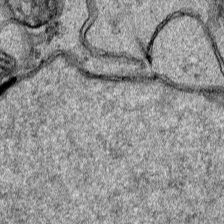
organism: Human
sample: Mitochondria in HCT116 cells